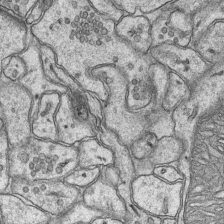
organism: Mouse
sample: CA1 Hippocampus